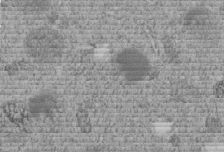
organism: C. elegans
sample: C. elegans embryo early stage